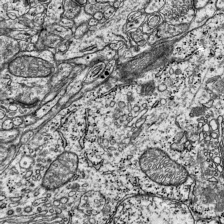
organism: Mouse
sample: Visual Cortex